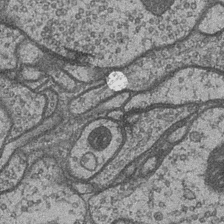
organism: Drosophila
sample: Optic medulla